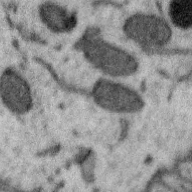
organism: Zebra finch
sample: Brain